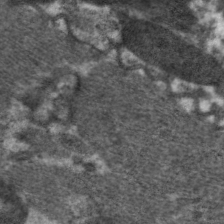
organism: C. elegans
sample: Pharynx